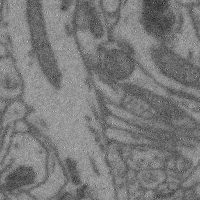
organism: Mouse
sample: Cerebral cortex